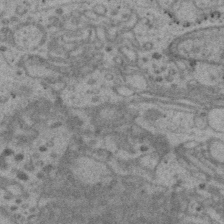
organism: Human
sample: HeLa cells